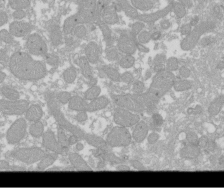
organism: Xenopus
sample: Cilia; centrioles in frog embryo cells